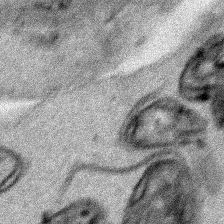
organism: Human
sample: Mitochondria in HCT116 cells